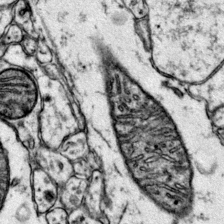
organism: Mouse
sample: Primary visual cortex